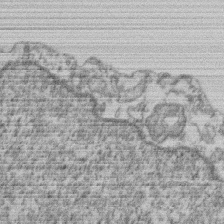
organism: Mouse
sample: T cell stromal cell synapse